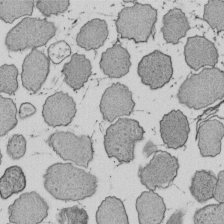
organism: E. coli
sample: Bacterial nucleoid